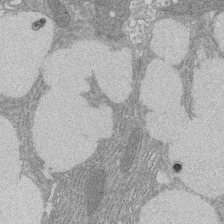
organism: Rat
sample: Salivary granule